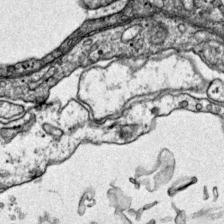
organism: Mouse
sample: Primary visual cortex